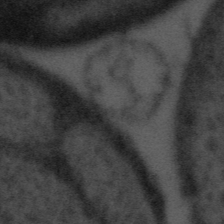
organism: Tuwongella immobilis